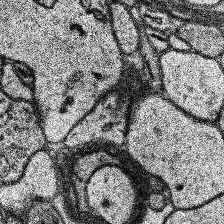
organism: Human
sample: Temporal Lobe